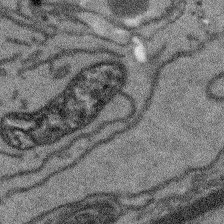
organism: Arabidopsis thaliana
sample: Root tip